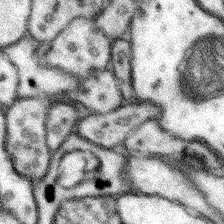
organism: Mouse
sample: Somatosensory cortex neuropil